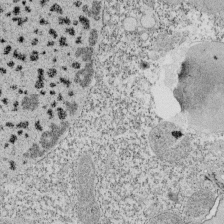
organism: Tetrahymena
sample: Cilia in tetrahymena